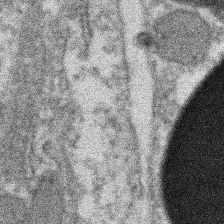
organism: Xenopus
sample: Cilia; centrioles in frog embryo cells